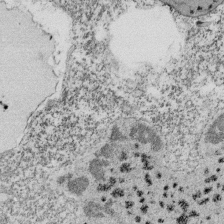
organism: Tetrahymena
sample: Cilia in tetrahymena